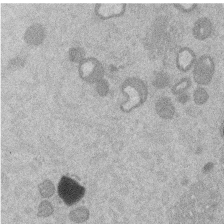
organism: Mouse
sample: Dividing mouse embryo 1 cell stage